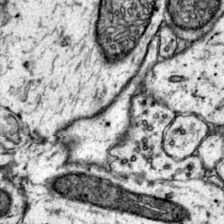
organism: Mouse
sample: Primary visual cortex